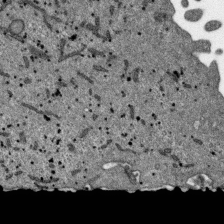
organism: Human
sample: Lung epithelial cells, uninfected (mock) control